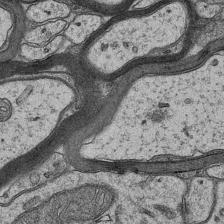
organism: Mouse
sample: CA1 Hippocampus